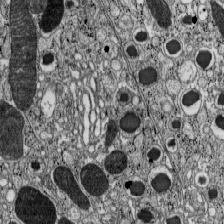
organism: C57BL Mouse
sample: Pancreatic islet